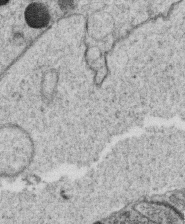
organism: C. elegans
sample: C. elegans oocyte; sperm cells